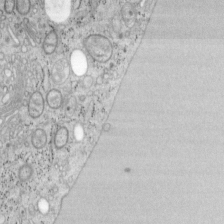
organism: Mouse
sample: OT-I killer T cells with ID8 ovarian cancer cells